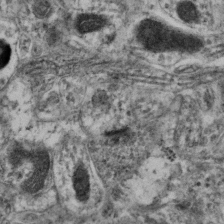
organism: Mouse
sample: Neocortex